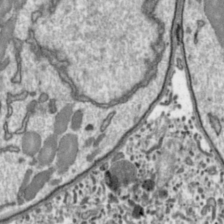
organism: Toxoplasma gondii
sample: Parasites in a vacuole inside a host cell